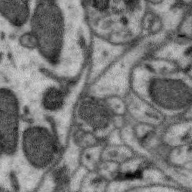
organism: Zebra finch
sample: Brain